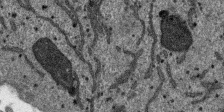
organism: Human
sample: Lung epithelial cells infected with SARS-CoV-2